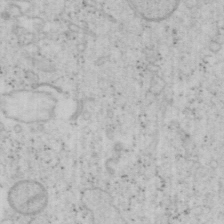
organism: Human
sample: HeLa cells